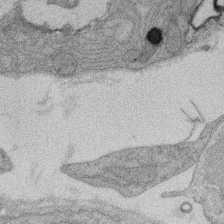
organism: Rat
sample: Salivary granule